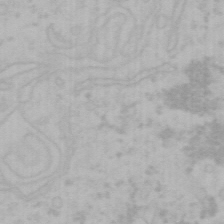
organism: Mouse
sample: Choroid plexus